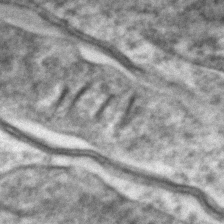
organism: Zebrafish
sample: Zebrafish embryo